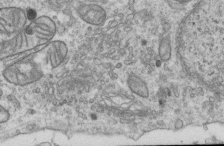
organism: Human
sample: Centriole in RPE cells